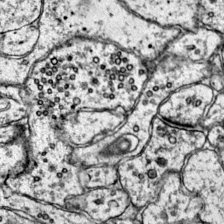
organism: Mouse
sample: Primary visual cortex